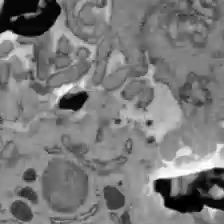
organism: C57BL Mouse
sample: Liver